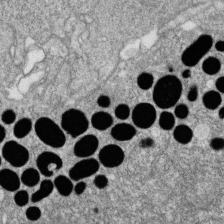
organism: Zebrafish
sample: Cilia; retinal pigment epithelium